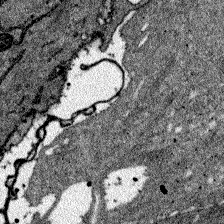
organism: Zebrafish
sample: Larval olfactory bulb